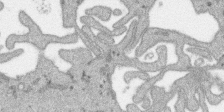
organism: Human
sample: Lung epithelial cells infected with SARS-CoV-2